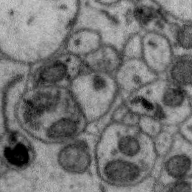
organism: Zebra finch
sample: Brain